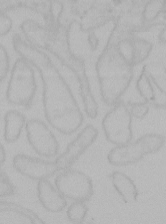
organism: Mouse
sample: Choroid plexus